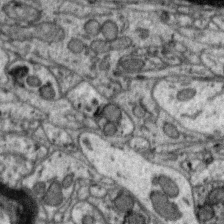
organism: Zebra finch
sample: Brain